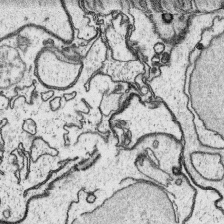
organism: Platynereis dumerilii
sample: Parapodia